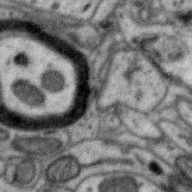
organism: Zebra finch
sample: Brain